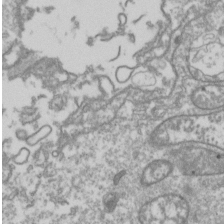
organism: Drosophila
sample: Cell division; meiosis; drosophila spermatocytes